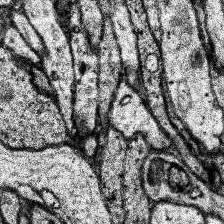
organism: Human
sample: Temporal Lobe